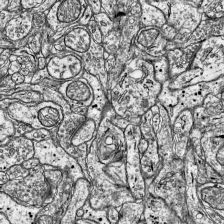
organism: Mouse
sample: Visual Cortex